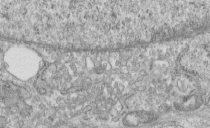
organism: Human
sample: Centriole in fibroblast cells